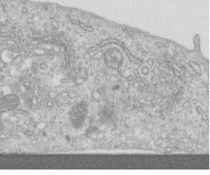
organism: Human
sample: Centriole in RPE cells